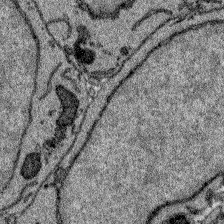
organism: Zebrafish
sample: Larval olfactory bulb